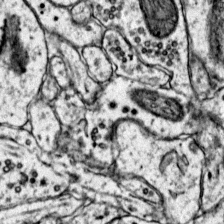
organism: Mouse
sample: Primary visual cortex